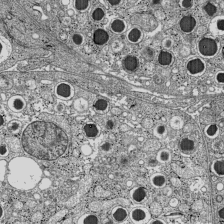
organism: C57BL Mouse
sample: Pancreatic islet